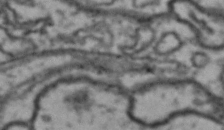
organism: Drosophila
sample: Brain